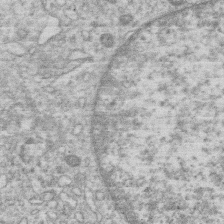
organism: Human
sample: Macrophage cells